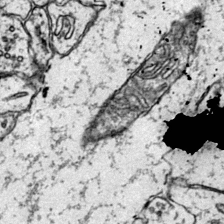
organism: Mouse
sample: Primary visual cortex